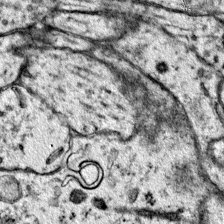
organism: Mouse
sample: Primary visual cortex